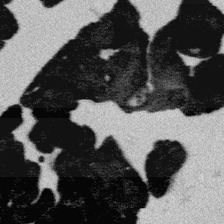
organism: Platynereis dumerilii